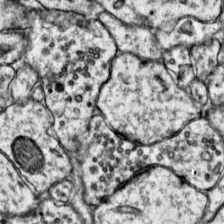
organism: Mouse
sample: Primary visual cortex